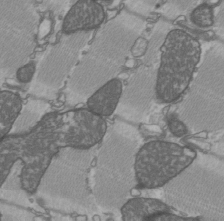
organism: C57BL Mouse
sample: Heart